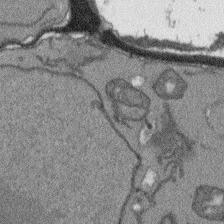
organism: Arabidopsis thaliana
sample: Root tip